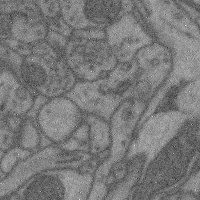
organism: Mouse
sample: Cerebral cortex